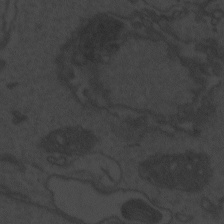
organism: Zebrafish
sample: Macrophage infected with Toxoplasma gondii